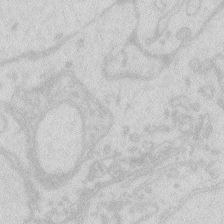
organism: Zebrafish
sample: Macrophage